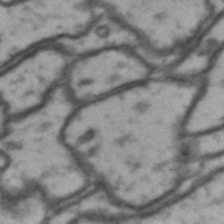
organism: Drosophila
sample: Brain